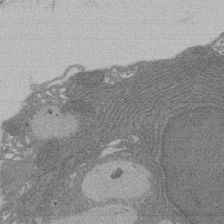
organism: Rat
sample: Salivary granule